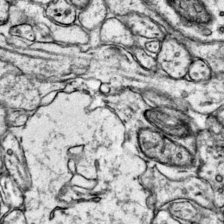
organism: Mouse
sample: Primary visual cortex